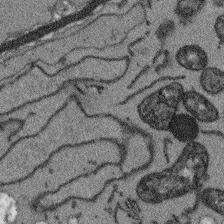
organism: Arabidopsis thaliana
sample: Root tip